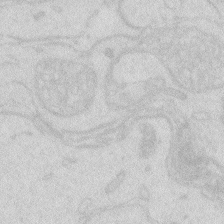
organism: Zebrafish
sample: Macrophage